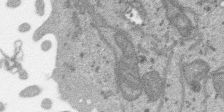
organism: Human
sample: Lung epithelial cells infected with SARS-CoV-2